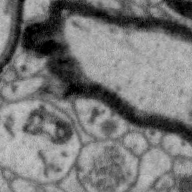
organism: Zebra finch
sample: Brain